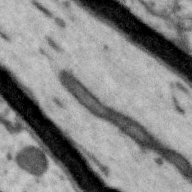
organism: Zebra finch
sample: Brain